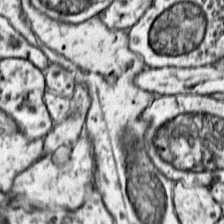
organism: Mouse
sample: Primary visual cortex